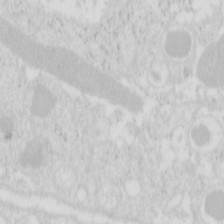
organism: Mouse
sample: Pancreas